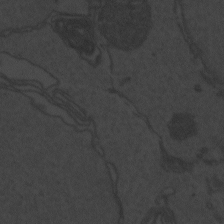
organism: Zebrafish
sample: Macrophage infected with Toxoplasma gondii